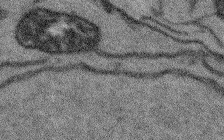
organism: Arabidopsis thaliana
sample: Root tip